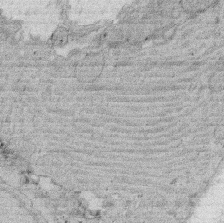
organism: Rat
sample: Salivary granule